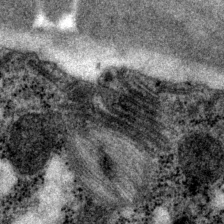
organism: P. pacificus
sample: Pharynx